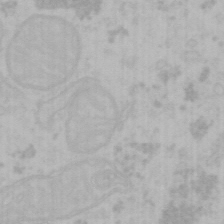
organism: Mouse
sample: Choroid plexus